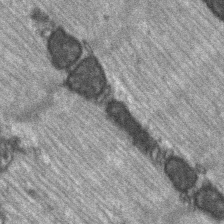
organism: C57BL Mouse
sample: Soleus